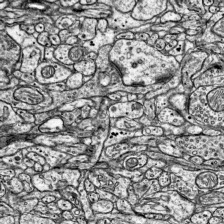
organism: Mouse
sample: Visual Cortex